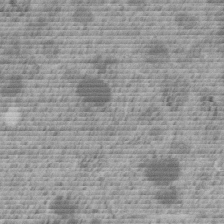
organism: C. elegans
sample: C. elegans embryo early stage